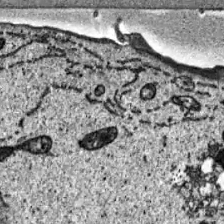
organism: Human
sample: HeLa cells